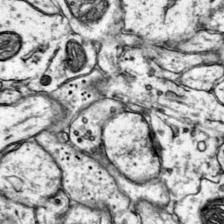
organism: Mouse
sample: Primary visual cortex